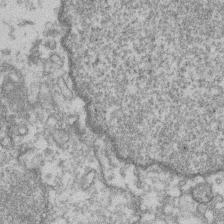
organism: Mouse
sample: T cell stromal cell synapse